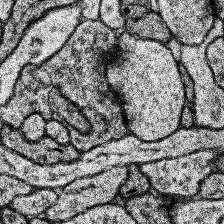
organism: Human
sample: Temporal Lobe